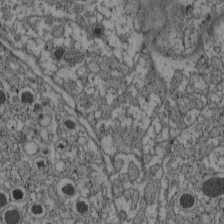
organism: C57BL Mouse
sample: Pancreatic islet